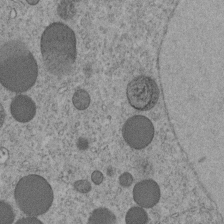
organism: C. elegans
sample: C. elegans embryo early stage